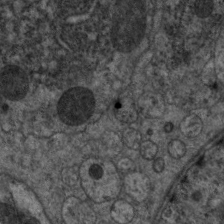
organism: C. elegans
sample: Pharynx